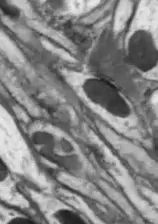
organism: Drosophila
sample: Optic lobe